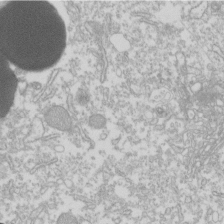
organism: Xenopus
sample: Cilia; centrioles in frog embryo cells